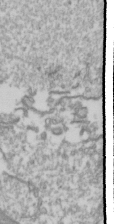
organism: Drosophila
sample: Cell division; meiosis; drosophila spermatocytes